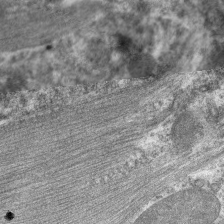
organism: C. elegans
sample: Pharynx